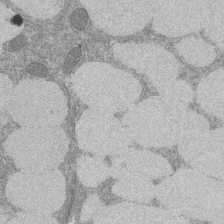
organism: Rat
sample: Salivary granule